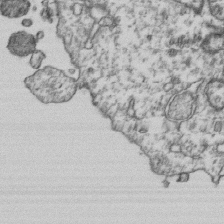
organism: Human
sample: Activated Jurkat CD4+ T cells